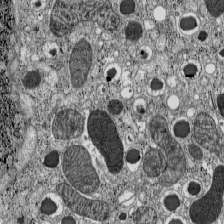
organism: C57BL Mouse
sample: Pancreatic islet